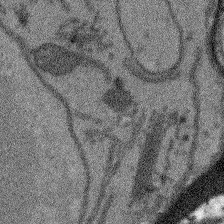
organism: Arabidopsis thaliana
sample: Root tip